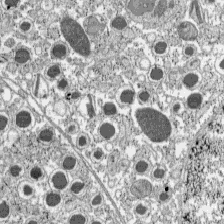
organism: C57BL Mouse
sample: Pancreatic islet